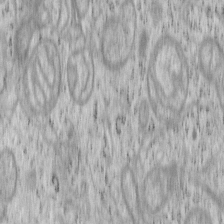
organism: Human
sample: HeLa cells